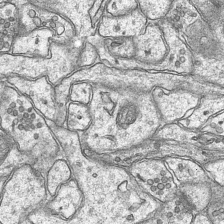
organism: Mouse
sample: CA1 Hippocampus